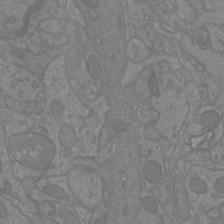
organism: Mouse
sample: Cortical neurons